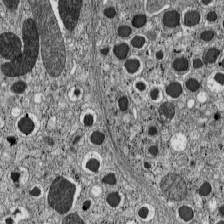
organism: C57BL Mouse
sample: Pancreatic islet